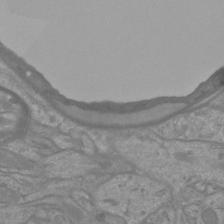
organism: Mouse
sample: Cortical neurons